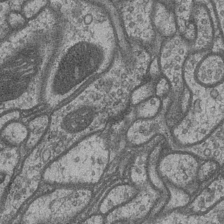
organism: Drosophila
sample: Optic medulla